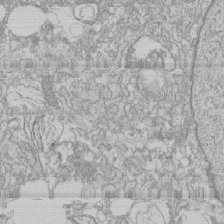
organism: Human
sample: CRL-1474